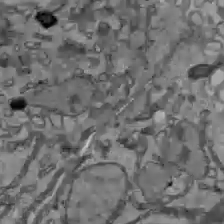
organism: C57BL Mouse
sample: Liver